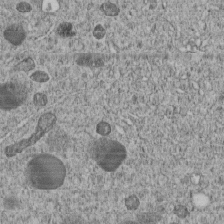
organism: C. elegans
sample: C. elegans embryo early stage